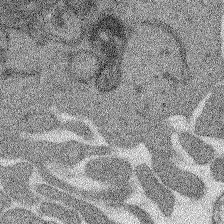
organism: Human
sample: HeLa cells